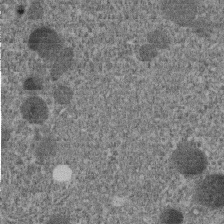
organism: C. elegans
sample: C. elegans embryo early stage